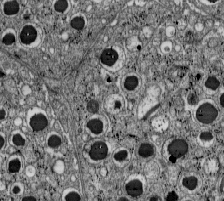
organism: C57BL Mouse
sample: Pancreatic islet